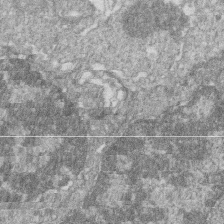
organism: Zebrafish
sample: Cilia; retinal pigment epithelium